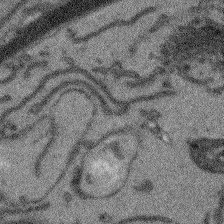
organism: Arabidopsis thaliana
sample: Root tip